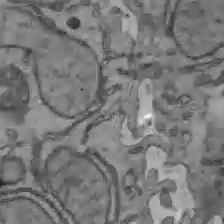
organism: C57BL Mouse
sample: Liver